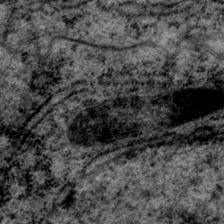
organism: P. pacificus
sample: Pharynx